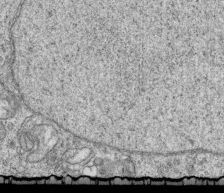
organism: Human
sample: HeLa cell HIV synapse